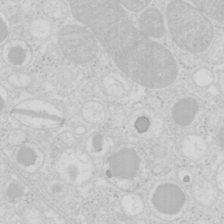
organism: Mouse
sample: Pancreas